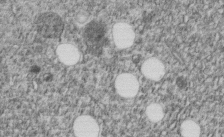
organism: C. elegans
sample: C. elegans embryo early stage